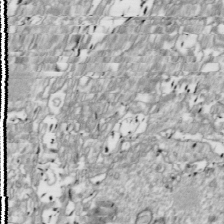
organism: Drosophila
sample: Cell division; meiosis; drosophila spermatocytes